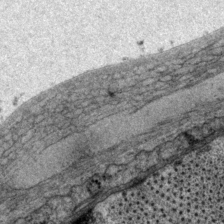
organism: P. pacificus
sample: Pharynx